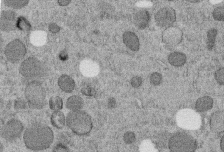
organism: C. elegans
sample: C. elegans embryo early stage